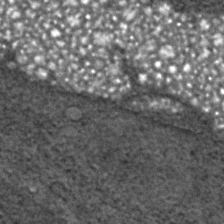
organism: C. elegans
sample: C. elegans embryo